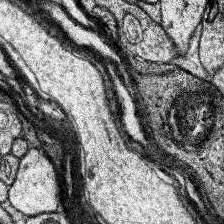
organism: Human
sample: Temporal Lobe